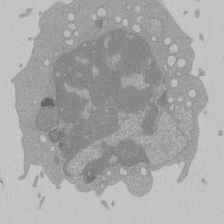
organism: Mouse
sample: Activated Pmel transgenic CD8+ T Cells